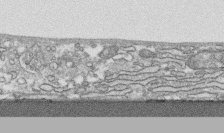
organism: Human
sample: CRL-1474